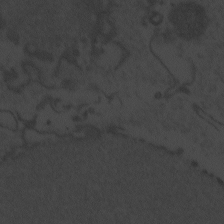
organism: Zebrafish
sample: Macrophage infected with Toxoplasma gondii